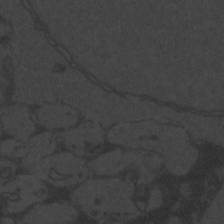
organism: Zebrafish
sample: Macrophage infected with Toxoplasma gondii